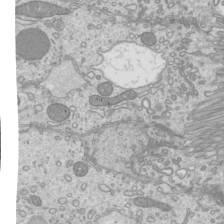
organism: Mouse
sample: Cilia; mouse epididymis